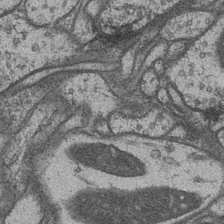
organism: Drosophila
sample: Optic medulla